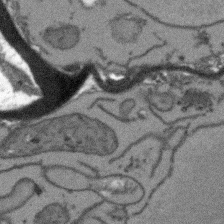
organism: Arabidopsis thaliana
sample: Root tip